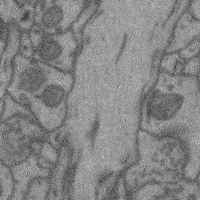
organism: Mouse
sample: Cerebral cortex